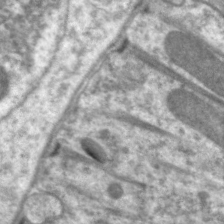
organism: C. elegans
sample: Pharynx